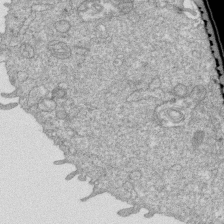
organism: Human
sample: HeLa cell HIV synapse